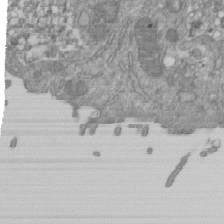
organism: Mouse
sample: ED-1 cell nuclei; centrioles